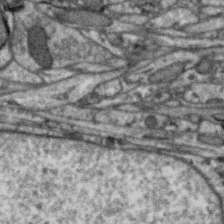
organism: Zebra finch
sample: Brain